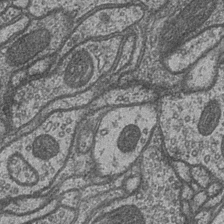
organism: Drosophila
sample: Optic medulla